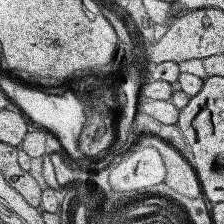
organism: Human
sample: Temporal Lobe